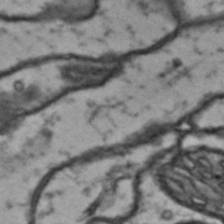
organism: Drosophila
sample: Brain